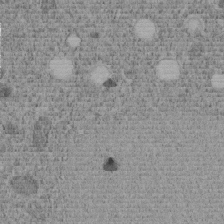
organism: C. elegans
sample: C. elegans embryo early stage